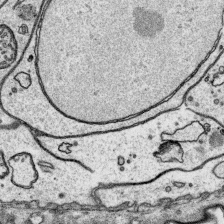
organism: Platynereis dumerilii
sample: Parapodia